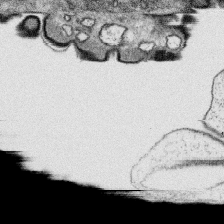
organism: Platynereis dumerilii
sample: Parapodia